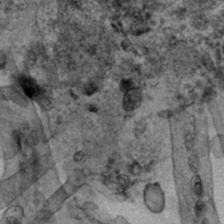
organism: Human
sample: Mitochondria in HCT116 cells